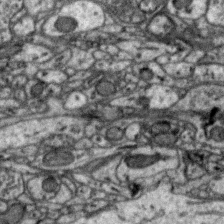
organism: Zebra finch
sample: Brain